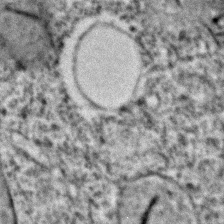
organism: C. elegans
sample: C. elegans embryo